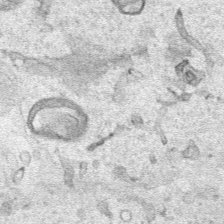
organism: Human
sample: Mitochondria in HCT116 cells